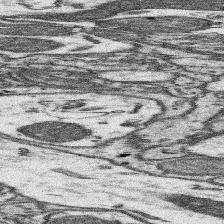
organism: Mouse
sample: Somatosensory cortex neuropil